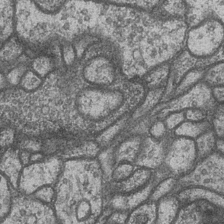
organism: Drosophila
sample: Optic medulla